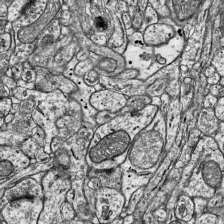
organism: Mouse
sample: Visual Cortex